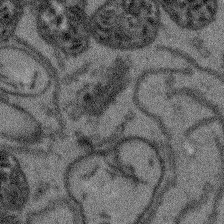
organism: Arabidopsis thaliana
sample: Root tip